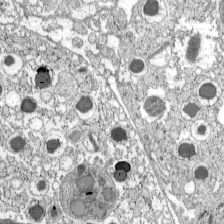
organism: C57BL Mouse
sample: Pancreatic islet